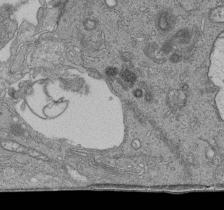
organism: Human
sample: Retinal organoid Rod and Cone cells